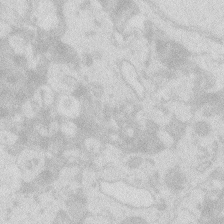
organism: Zebrafish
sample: Macrophage